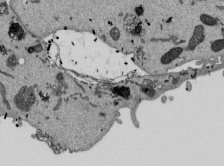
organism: Mouse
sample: ED-1 cell nuclei; centrioles